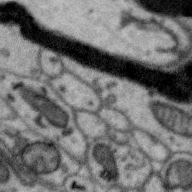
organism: Zebra finch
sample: Brain